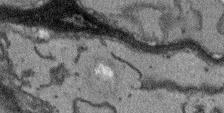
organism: Arabidopsis thaliana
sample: Root tip